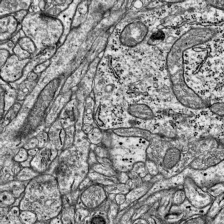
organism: Mouse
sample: Visual Cortex